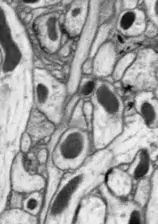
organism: Drosophila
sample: Optic lobe